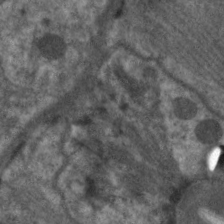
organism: C. elegans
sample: Pharynx